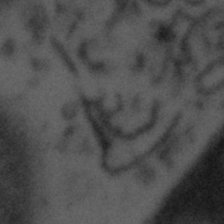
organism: Tuwongella immobilis